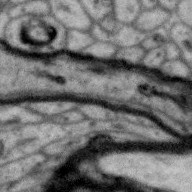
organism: Zebra finch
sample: Brain